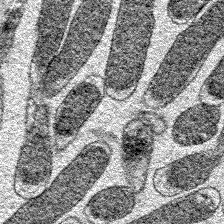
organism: E. coli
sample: E. Coli Bacteria